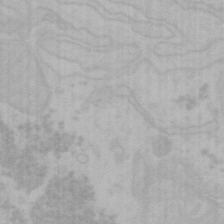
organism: Mouse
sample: Choroid plexus